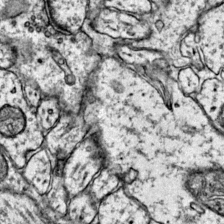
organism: Mouse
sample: Primary visual cortex